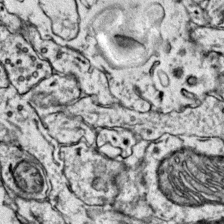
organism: Mouse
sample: Primary visual cortex